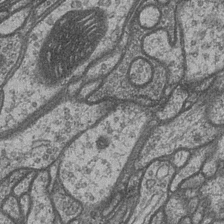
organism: Drosophila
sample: Optic medulla